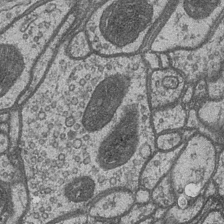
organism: Drosophila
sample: Optic medulla